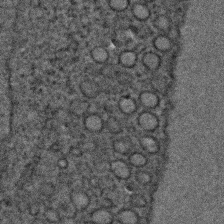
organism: C. elegans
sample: C. elegans embryo